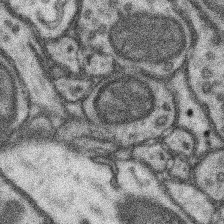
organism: Mouse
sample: Somatosensory cortex neuropil